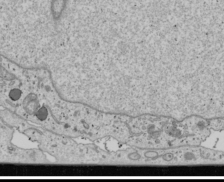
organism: Human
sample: Mitochondria in U2OS cells